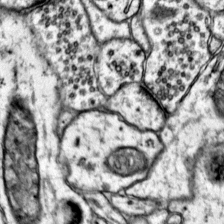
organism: Mouse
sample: Primary visual cortex